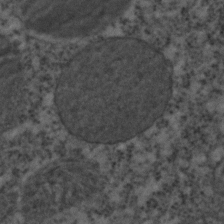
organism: C. elegans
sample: C. elegans embryo